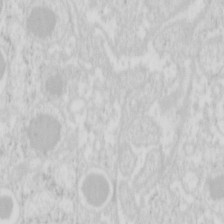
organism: Mouse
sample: Pancreas